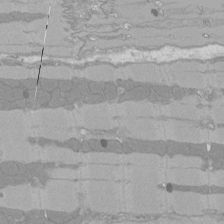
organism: Rat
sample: Left ventricle